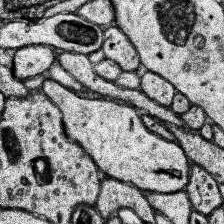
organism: Human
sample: Temporal Lobe